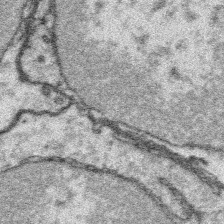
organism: Platynereis dumerilii